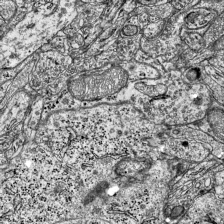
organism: Mouse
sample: Visual Cortex